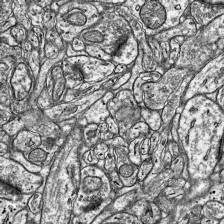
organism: Mouse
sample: Visual Cortex